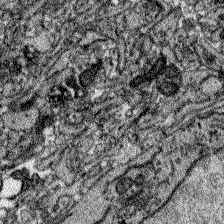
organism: Zebrafish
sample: Larval olfactory bulb